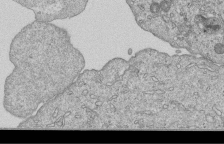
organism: Human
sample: MDA-MB-231 cells